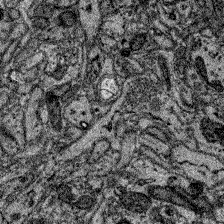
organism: Zebrafish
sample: Larval olfactory bulb